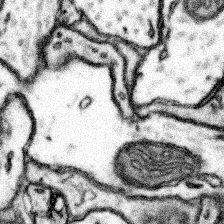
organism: Mouse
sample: Somatosensory cortex neuropil